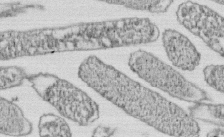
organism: E. coli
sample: Bacterial nucleoid